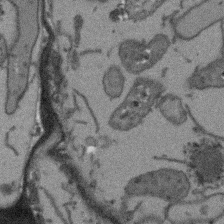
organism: Arabidopsis thaliana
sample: Root tip